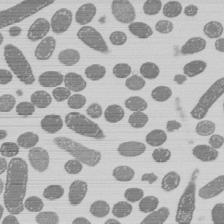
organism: E. coli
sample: Bacterial nucleoid